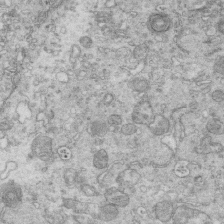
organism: Mouse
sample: Multiciliated cells